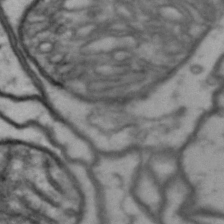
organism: Drosophila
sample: Brain